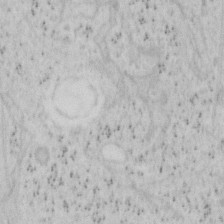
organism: Human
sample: HeLa cells